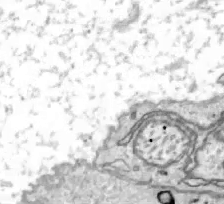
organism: Zebrafish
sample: Actinotrichia fibers